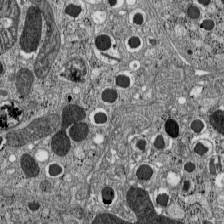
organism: C57BL Mouse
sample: Pancreatic islet